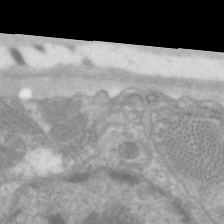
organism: C. elegans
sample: Pharynx